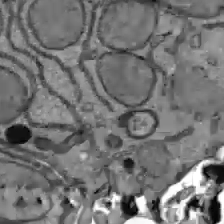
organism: C57BL Mouse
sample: Liver